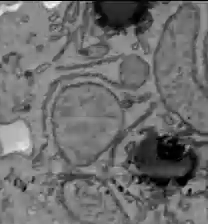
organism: C57BL Mouse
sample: Liver